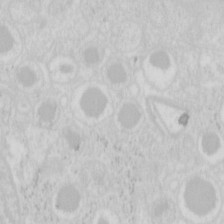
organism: Mouse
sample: Pancreas